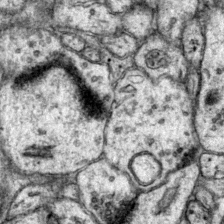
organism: Mouse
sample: Primary visual cortex